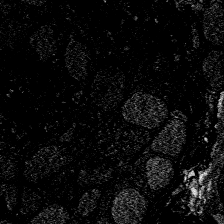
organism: Zebrafish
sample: Whole-Brain